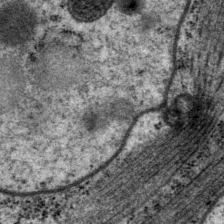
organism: P. pacificus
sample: Pharynx